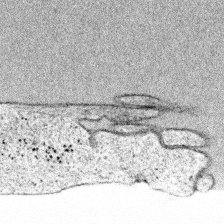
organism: Human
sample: HeLa cells